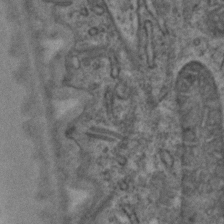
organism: C. elegans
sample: C. elegans embryo